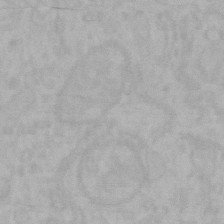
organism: Mouse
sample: Choroid plexus